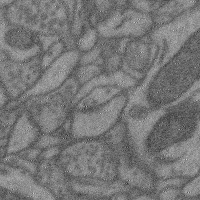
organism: Mouse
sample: Cerebral cortex